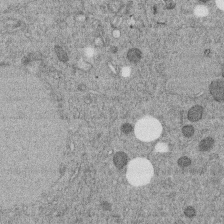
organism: C. elegans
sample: C. elegans embryo early stage